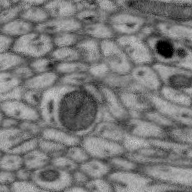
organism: Zebra finch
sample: Brain